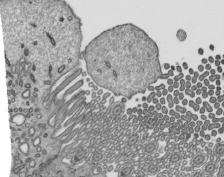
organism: Mouse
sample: Mouse epididymis efferent ductule cilia